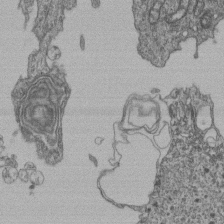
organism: Human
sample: Retinal organoid Rod and Cone cells